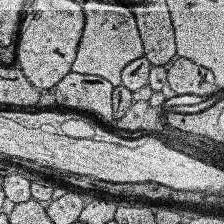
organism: Human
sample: Temporal Lobe